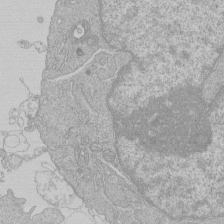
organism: Human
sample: Macrophage cells